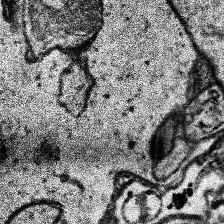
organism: Human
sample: Temporal Lobe